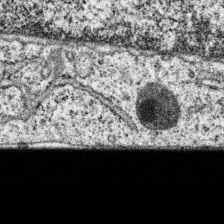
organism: Human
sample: HeLa cells